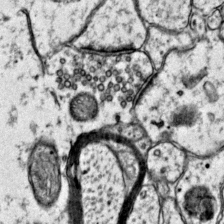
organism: Mouse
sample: Primary visual cortex